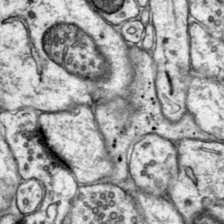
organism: Mouse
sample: Primary visual cortex